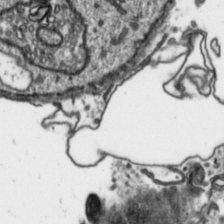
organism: Toxoplasma gondii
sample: Parasites in a vacuole inside a host cell